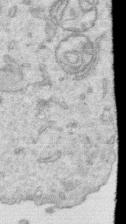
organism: Human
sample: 1205lu cells